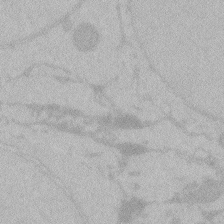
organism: Zebrafish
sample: Macrophage infected with Toxoplasma gondii